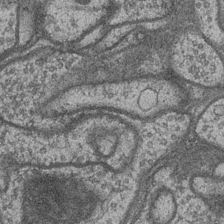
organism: Drosophila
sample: Optic medulla